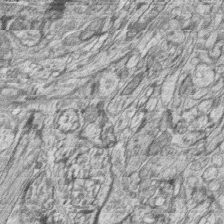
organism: Zebrafish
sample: synaptic ribbons in rod cells and cone cells